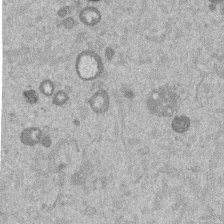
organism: Mouse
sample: Dividing mouse embryo 1 cell stage